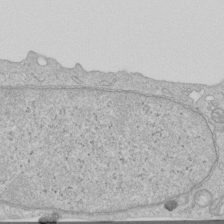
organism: Human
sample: Centriole in RPE cells